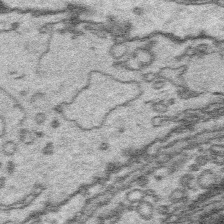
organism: Platynereis dumerilii